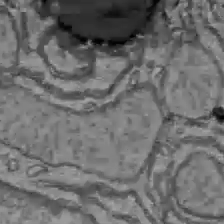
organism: C57BL Mouse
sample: Liver